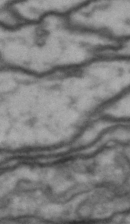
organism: Drosophila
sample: Brain